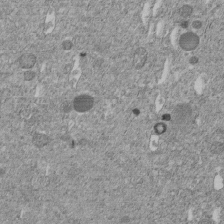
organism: C. elegans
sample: C. elegans embryo early stage